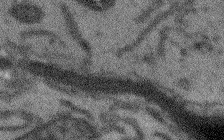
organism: Arabidopsis thaliana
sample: Root tip